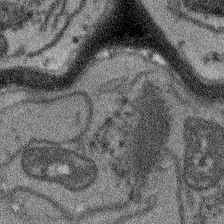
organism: Arabidopsis thaliana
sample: Root tip